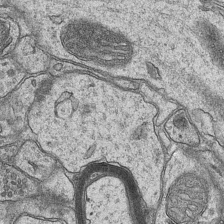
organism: Mouse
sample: CA1 Hippocampus